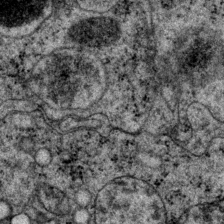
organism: P. pacificus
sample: Pharynx